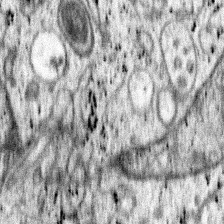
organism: Human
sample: HeLa cells